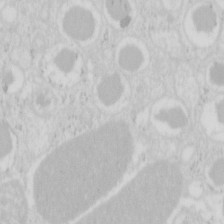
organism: Mouse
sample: Pancreas